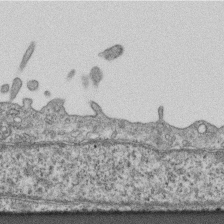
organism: Mouse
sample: Centriole in ependymal cells